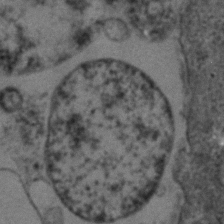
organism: Human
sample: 1205lu cells